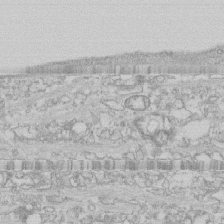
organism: Human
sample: CRL-1474